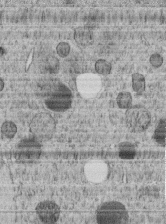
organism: C. elegans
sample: C. elegans embryo early stage